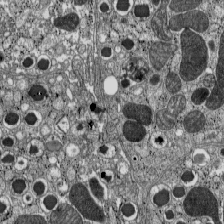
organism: C57BL Mouse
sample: Pancreatic islet